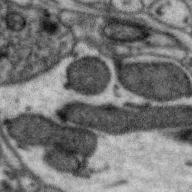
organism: Zebra finch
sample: Brain